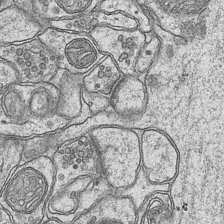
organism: Mouse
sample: CA1 Hippocampus